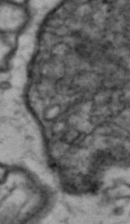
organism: Drosophila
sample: Brain